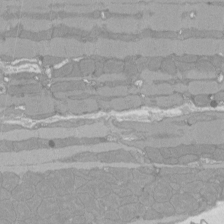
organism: Rat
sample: Left ventricle